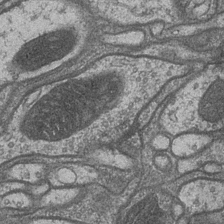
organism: Drosophila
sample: Optic medulla